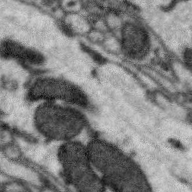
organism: Zebra finch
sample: Brain